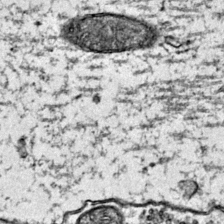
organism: Mouse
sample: Primary visual cortex